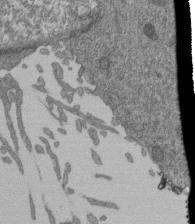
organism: Human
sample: Retinal organoid Rod and Cone cells